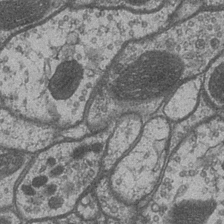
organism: Drosophila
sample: Optic medulla